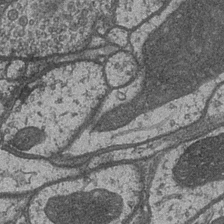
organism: Drosophila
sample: Optic medulla